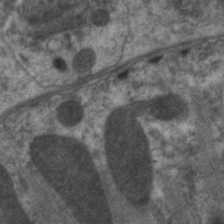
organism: C. elegans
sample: Pharynx